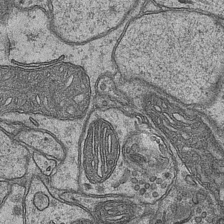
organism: Mouse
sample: CA1 Hippocampus